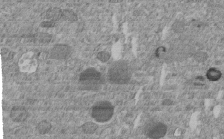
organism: C. elegans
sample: C. elegans embryo early stage